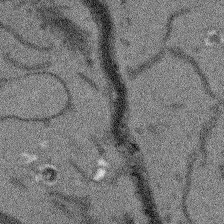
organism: Arabidopsis thaliana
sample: Root tip